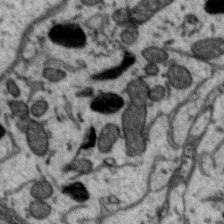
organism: Zebra finch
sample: Brain